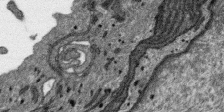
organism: Human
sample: Lung epithelial cells, uninfected (mock) control